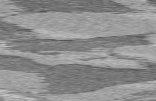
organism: C57BL Mouse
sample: Heart